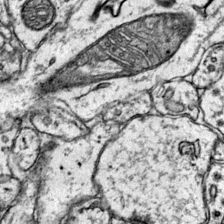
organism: Mouse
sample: Primary visual cortex